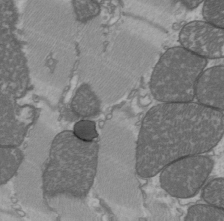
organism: C57BL Mouse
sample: Heart